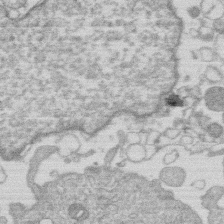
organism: Human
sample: Macrophage cells